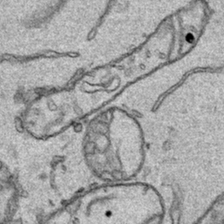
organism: Human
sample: Mitochondria in HCT116 cells